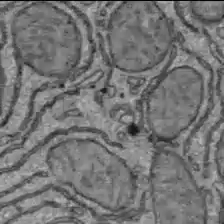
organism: C57BL Mouse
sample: Liver